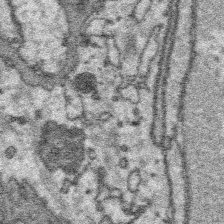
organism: Platynereis dumerilii